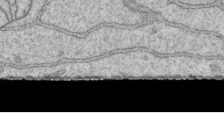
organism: Human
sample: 1205lu cells